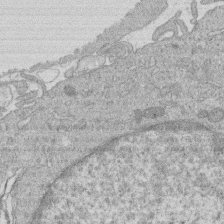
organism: Human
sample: Macrophage cells